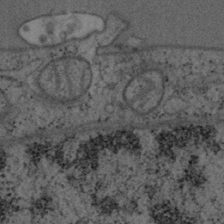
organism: Human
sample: HeLa cells